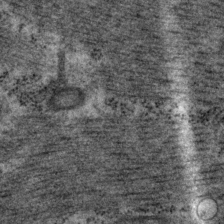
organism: P. pacificus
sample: Pharynx